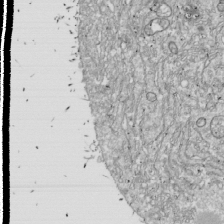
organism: Drosophila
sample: Cell division; meiosis; drosophila spermatocytes